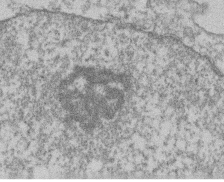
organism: Mouse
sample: T cell stromal cell synapse